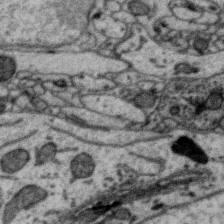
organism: Zebra finch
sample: Brain